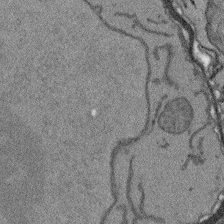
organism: Arabidopsis thaliana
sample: Root tip